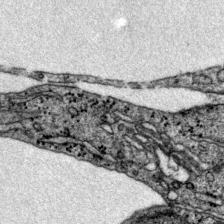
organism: Mouse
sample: Primary visual cortex